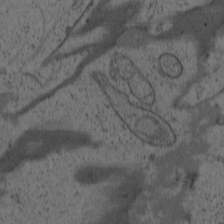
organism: African green monkey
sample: COS-7 cells